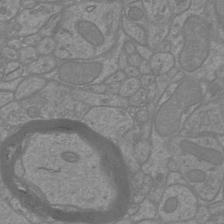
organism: Mouse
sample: Cortical neurons